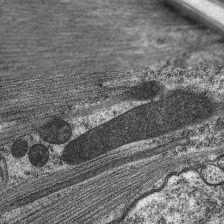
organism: C. elegans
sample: Pharynx